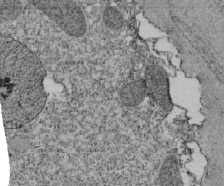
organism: Tetrahymena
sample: Cilia in tetrahymena